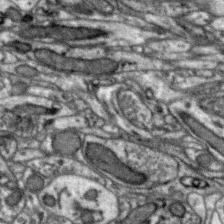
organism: Zebra finch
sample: Brain